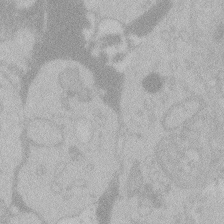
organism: Zebrafish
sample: Macrophage infected with Toxoplasma gondii